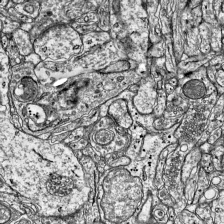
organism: Mouse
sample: Visual Cortex